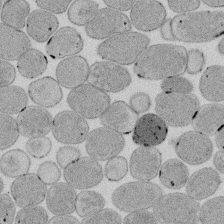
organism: E. coli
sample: Bacterial nucleoid